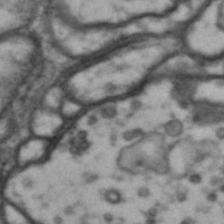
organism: Drosophila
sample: Brain